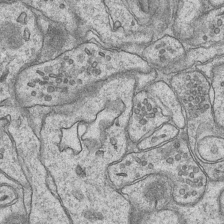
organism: Mouse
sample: CA1 Hippocampus